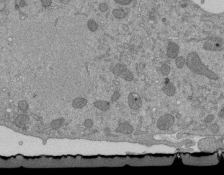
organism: Mouse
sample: ED-1 cell nuclei; centrioles